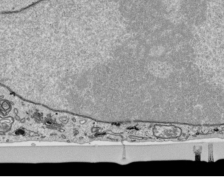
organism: Human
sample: Mitochondria in HCT116 cells